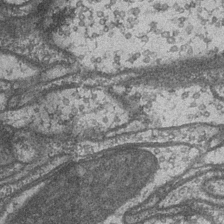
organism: Drosophila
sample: Optic medulla